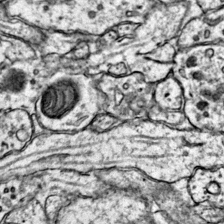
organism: Mouse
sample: Primary visual cortex